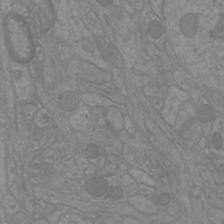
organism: Mouse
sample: Cortical neurons